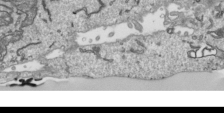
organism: Human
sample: Mitochondria in HCT116 cells